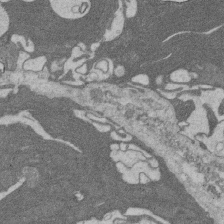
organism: Rat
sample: Salivary granule